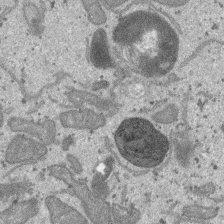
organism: Human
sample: Lung epithelial cells infected with SARS-CoV-2